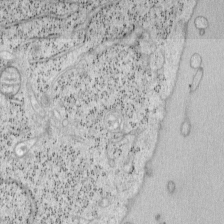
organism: Mouse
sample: OT-I killer T cells with ID8 ovarian cancer cells